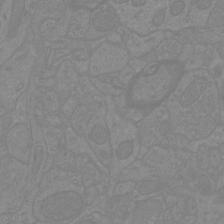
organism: Mouse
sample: Cortical neurons